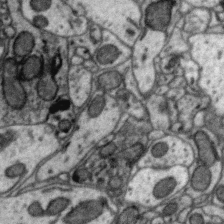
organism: Zebra finch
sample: Brain